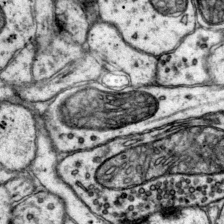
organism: Mouse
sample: Primary visual cortex